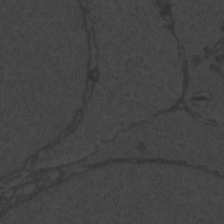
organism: Zebrafish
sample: Macrophage infected with Toxoplasma gondii